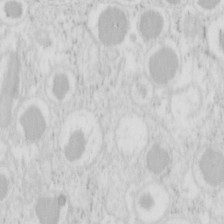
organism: Mouse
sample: Pancreas